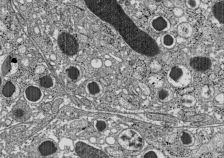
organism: C57BL Mouse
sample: Pancreatic islet